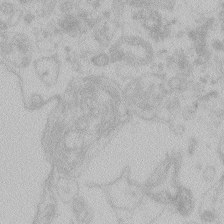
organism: Zebrafish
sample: Macrophage infected with Toxoplasma gondii